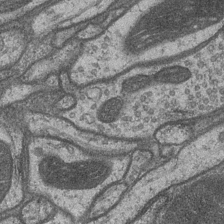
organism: Drosophila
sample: Optic medulla